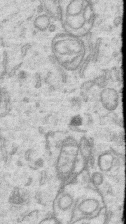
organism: Human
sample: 1205lu cells